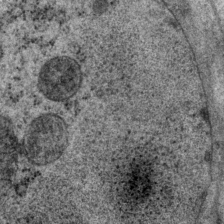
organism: P. pacificus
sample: Pharynx